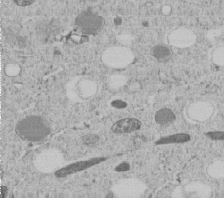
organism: C. elegans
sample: C. elegans embryo early stage